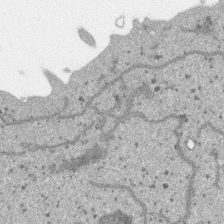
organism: Human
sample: Lung epithelial cells infected with SARS-CoV-2